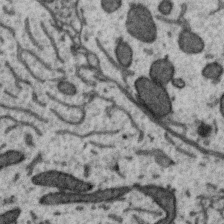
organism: Zebra finch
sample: Brain